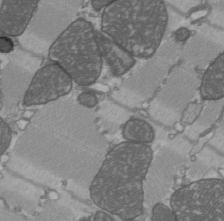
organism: C57BL Mouse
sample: Heart